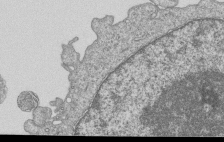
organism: Human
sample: MDA-MB-231 cells